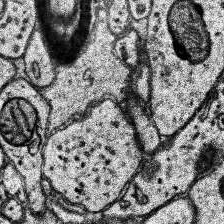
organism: Human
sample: Temporal Lobe